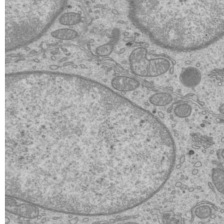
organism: Mouse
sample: Cilia; mouse epididymis